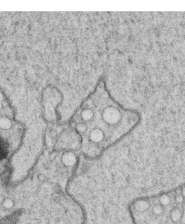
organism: C. elegans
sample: C. elegans oocyte; sperm cells